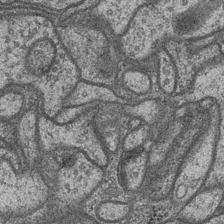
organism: Drosophila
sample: Optic medulla